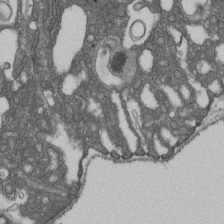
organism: Drosophila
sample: Nephrocyte